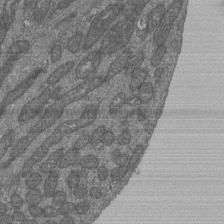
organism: Human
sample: Retinal organoid Rod and Cone cells